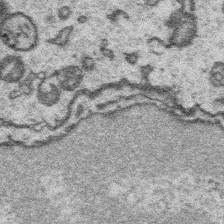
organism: Platynereis dumerilii